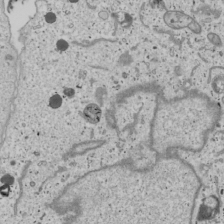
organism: Human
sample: Mitochondria in U2OS cells